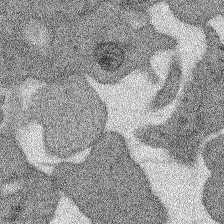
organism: Human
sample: HeLa cells